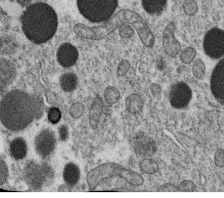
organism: C. elegans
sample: C. elegans oocyte; sperm cells